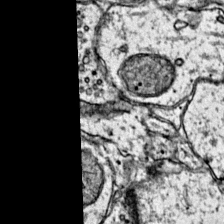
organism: Mouse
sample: Primary visual cortex